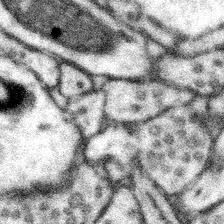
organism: Mouse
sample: Somatosensory cortex neuropil